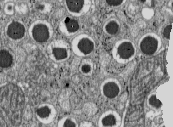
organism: C57BL Mouse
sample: Pancreatic islet